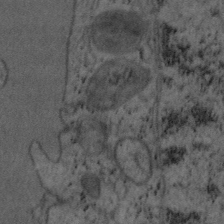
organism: Human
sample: HeLa cells